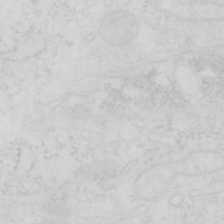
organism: Human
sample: SUM-159 cell